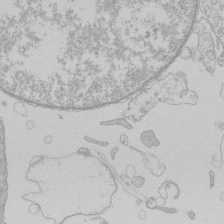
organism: Human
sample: Macrophage cells